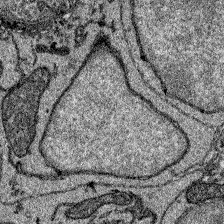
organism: Zebrafish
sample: Larval olfactory bulb